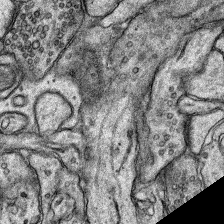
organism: Rat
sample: Hippocampus